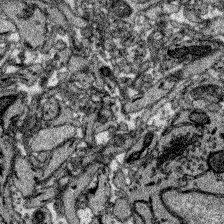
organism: Zebrafish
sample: Larval olfactory bulb